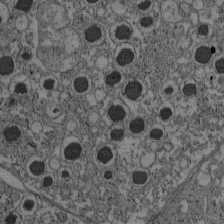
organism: C57BL Mouse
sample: Pancreatic islet